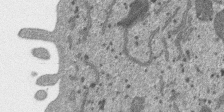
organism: Human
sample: Lung epithelial cells infected with SARS-CoV-2